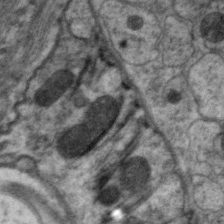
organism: C. elegans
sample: Pharynx